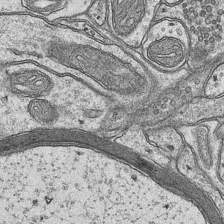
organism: Mouse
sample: CA1 Hippocampus